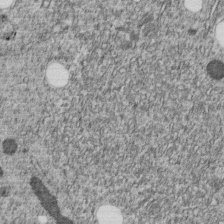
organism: C. elegans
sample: C. elegans embryo early stage